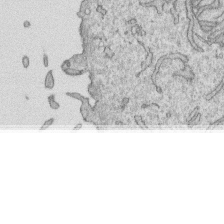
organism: Human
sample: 1205lu cells